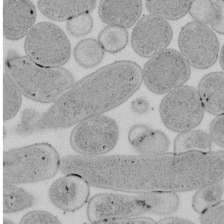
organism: E. coli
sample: Bacterial nucleoid